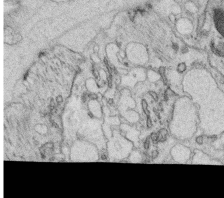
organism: C. elegans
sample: C. elegans oocyte; sperm cells